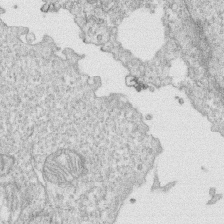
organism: Human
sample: HeLa cell HIV synapse